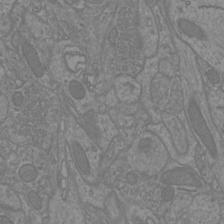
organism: Mouse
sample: Cortical neurons